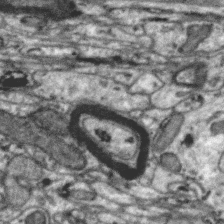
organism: Zebra finch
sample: Brain